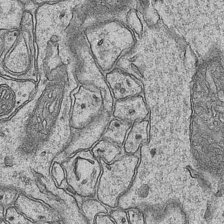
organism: Mouse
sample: CA1 Hippocampus